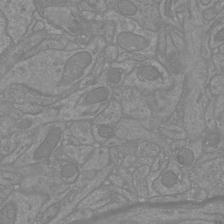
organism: Mouse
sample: Cortical neurons